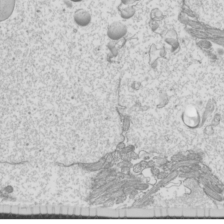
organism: Mouse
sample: Cilia; mouse epididymis